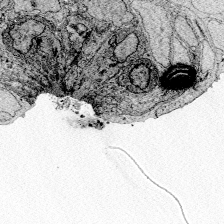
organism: Zebrafish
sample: Whole-Brain